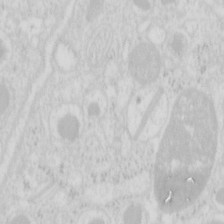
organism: Mouse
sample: Pancreas